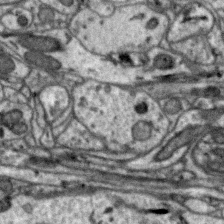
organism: Zebra finch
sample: Brain